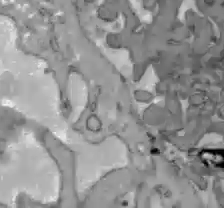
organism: C57BL Mouse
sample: Liver